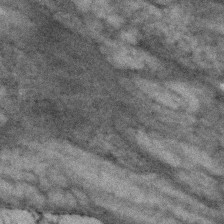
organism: Human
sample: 1205lu cells